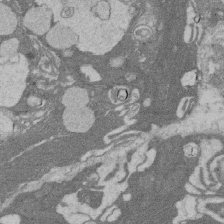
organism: Rat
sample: Salivary granule